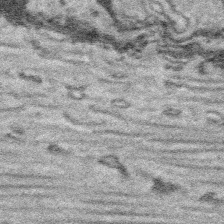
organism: Platynereis dumerilii